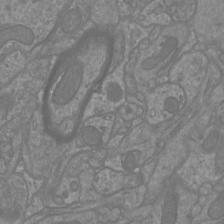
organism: Mouse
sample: Cortical neurons